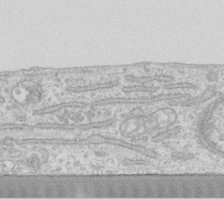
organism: Human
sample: Fibroblast cells